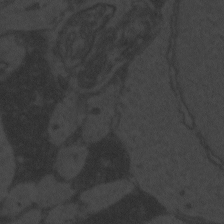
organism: Zebrafish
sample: Macrophage infected with Toxoplasma gondii